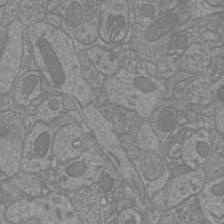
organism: Mouse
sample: Cortical neurons